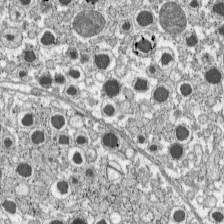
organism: C57BL Mouse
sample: Pancreatic islet